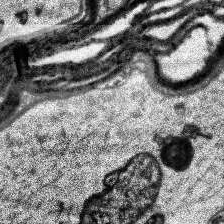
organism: Human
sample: Temporal Lobe